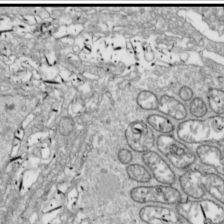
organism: Drosophila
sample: Cell division; meiosis; drosophila spermatocytes